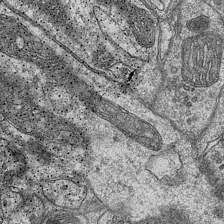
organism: Mouse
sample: CA1 Hippocampus